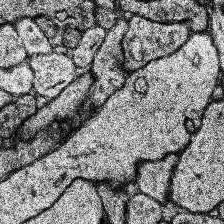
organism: Human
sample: Temporal Lobe